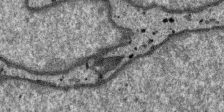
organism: Human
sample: Lung epithelial cells, uninfected (mock) control